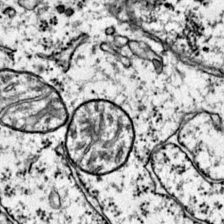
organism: Mouse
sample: Primary visual cortex